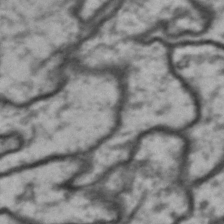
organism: Drosophila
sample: Brain